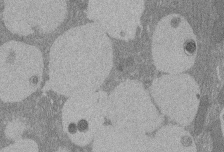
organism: Rat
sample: Salivary granule